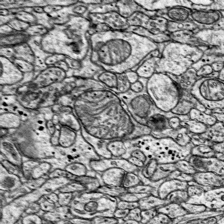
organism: Mouse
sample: Visual Cortex